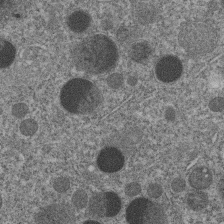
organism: C. elegans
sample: C. elegans embryo early stage